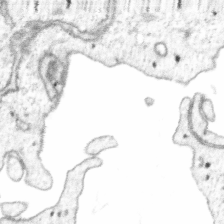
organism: Human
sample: HeLa cells